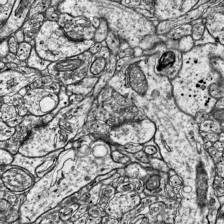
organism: Mouse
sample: Visual Cortex